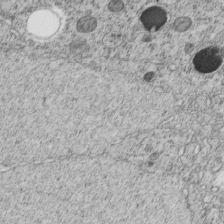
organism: C. elegans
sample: C. elegans embryo early stage